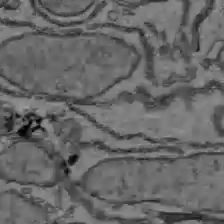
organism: C57BL Mouse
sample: Liver